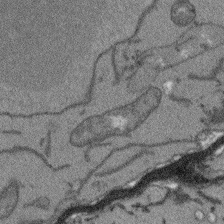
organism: Arabidopsis thaliana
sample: Root tip